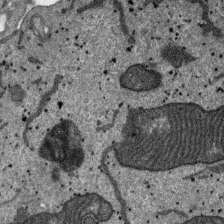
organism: Human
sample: Lung epithelial cells, uninfected (mock) control